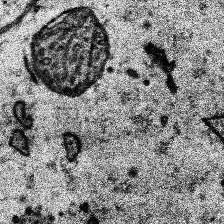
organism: Human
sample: Temporal Lobe